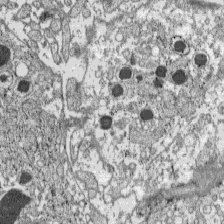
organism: C57BL Mouse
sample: Pancreatic islet